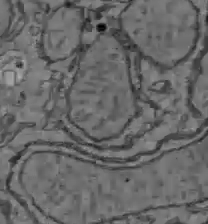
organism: C57BL Mouse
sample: Liver